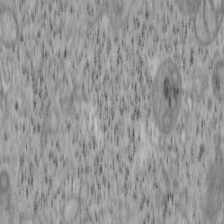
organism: Human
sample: HeLa cells